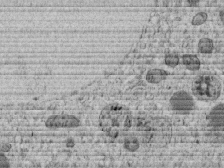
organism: C. elegans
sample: C. elegans embryo early stage